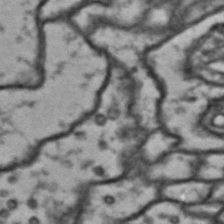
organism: Drosophila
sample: Brain